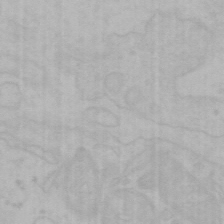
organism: Mouse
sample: Choroid plexus